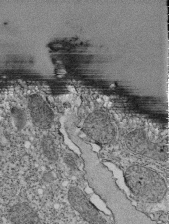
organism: Tetrahymena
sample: Cilia in tetrahymena